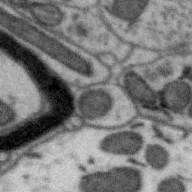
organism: Zebra finch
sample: Brain